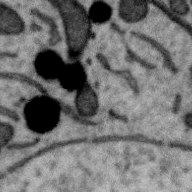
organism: Zebra finch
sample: Brain